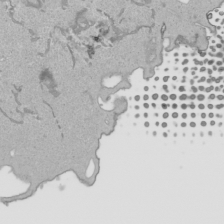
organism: Human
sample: Mitochondria in HCT116 cells